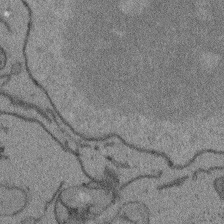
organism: Arabidopsis thaliana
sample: Root tip